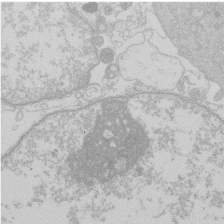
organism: Human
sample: Macrophage cells